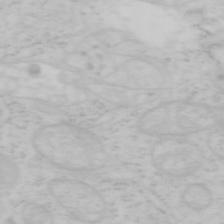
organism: Mouse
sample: OT-I killer T cells with ID8 ovarian cancer cells